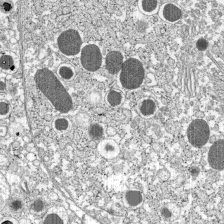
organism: C57BL Mouse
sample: Pancreatic islet